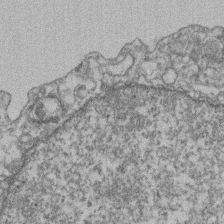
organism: Mouse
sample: T cell stromal cell synapse